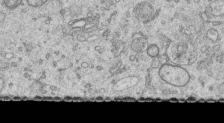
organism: Human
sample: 1205lu cells